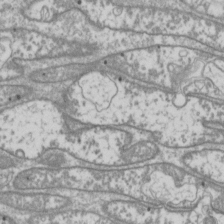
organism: Drosophila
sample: Cell division; meiosis; drosophila spermatocytes